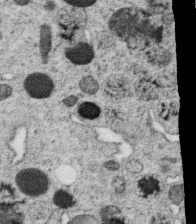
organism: C. elegans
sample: C. elegans oocyte; sperm cells